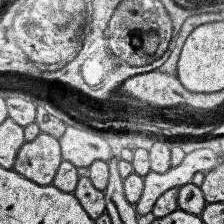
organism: Human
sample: Temporal Lobe